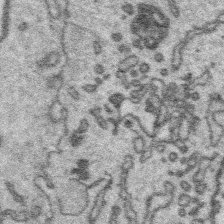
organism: Platynereis dumerilii